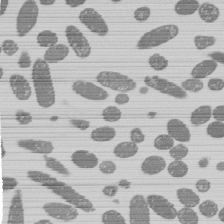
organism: E. coli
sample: Bacterial nucleoid